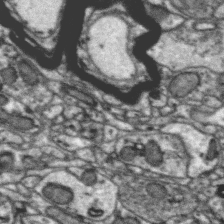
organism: Zebra finch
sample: Brain